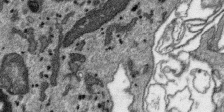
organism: Human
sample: Lung epithelial cells, uninfected (mock) control